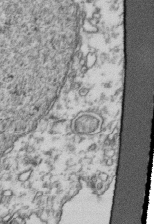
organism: Human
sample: Activated Jurkat CD4+ T cells